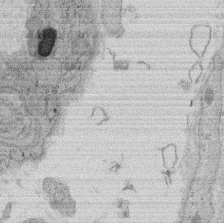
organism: Rat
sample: Salivary granule